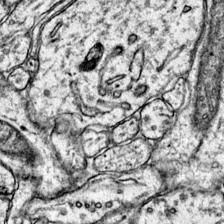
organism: Mouse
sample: Primary visual cortex